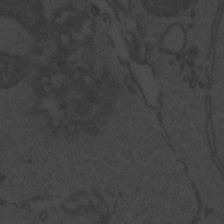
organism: Zebrafish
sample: Macrophage infected with Toxoplasma gondii